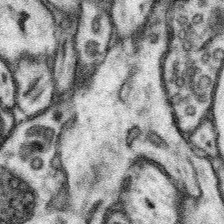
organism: Mouse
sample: Somatosensory cortex neuropil